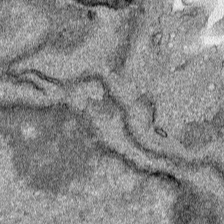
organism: Human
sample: Mitochondria in HCT116 cells